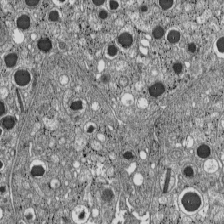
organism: C57BL Mouse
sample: Pancreatic islet